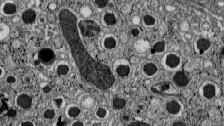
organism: C57BL Mouse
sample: Pancreatic islet